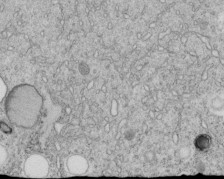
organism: C. elegans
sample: C. elegans embryo early stage